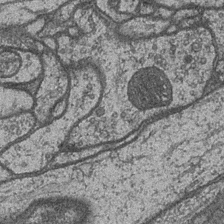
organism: Drosophila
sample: Optic medulla